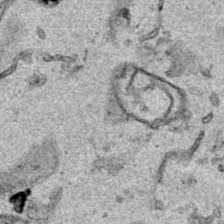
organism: Human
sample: Mitochondria in HCT116 cells